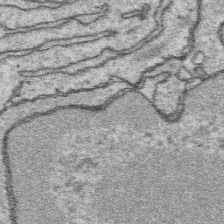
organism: Platynereis dumerilii